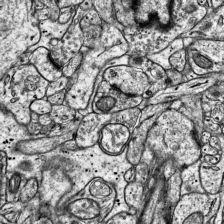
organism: Mouse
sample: Visual Cortex